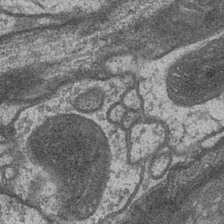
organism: Drosophila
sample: Optic medulla